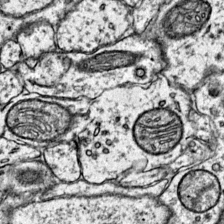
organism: Mouse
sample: Primary visual cortex